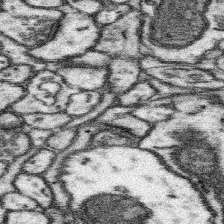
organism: Mouse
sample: Somatosensory cortex neuropil